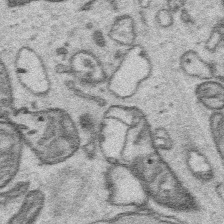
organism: Platynereis dumerilii